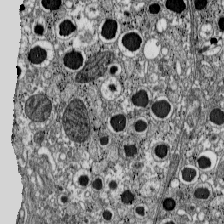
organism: C57BL Mouse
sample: Pancreatic islet